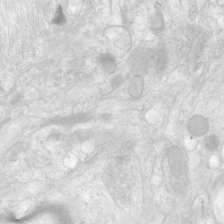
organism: Human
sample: Neocortex